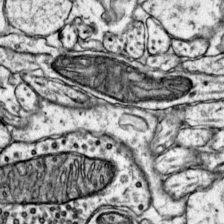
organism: Mouse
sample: Primary visual cortex